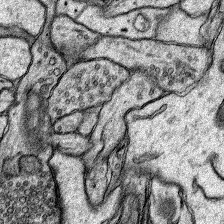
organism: Rat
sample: Hippocampus